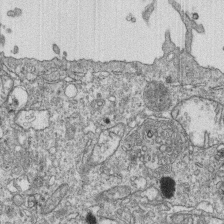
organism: Human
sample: HeLa cell HIV synapse